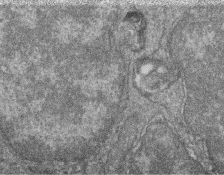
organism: Zebrafish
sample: Cilia; retinal pigment epithelium